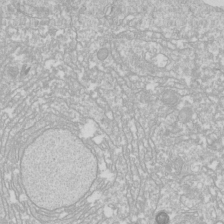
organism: Drosophila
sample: Cell division; meiosis; drosophila spermatocytes